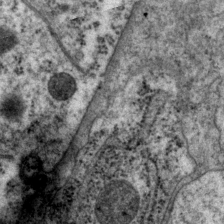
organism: P. pacificus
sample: Pharynx